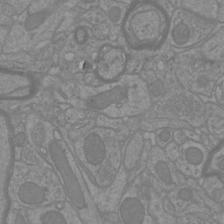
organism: Mouse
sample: Cortical neurons